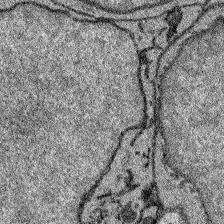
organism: Zebrafish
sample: Larval olfactory bulb